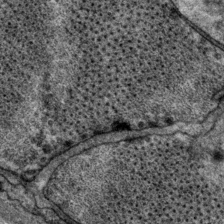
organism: P. pacificus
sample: Pharynx